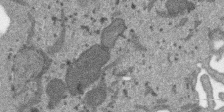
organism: Human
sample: Lung epithelial cells infected with SARS-CoV-2